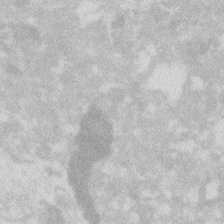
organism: Zebrafish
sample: Macrophage